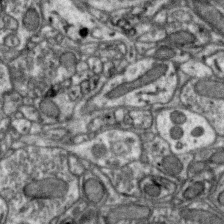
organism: Zebra finch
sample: Brain